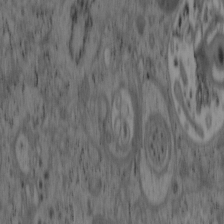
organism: Human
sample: HeLa cells